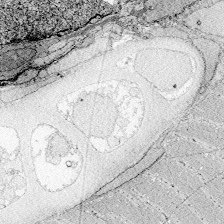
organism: Zebrafish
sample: Whole-Brain